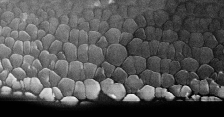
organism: Tetrahymena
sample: Cilia in tetrahymena